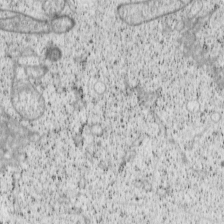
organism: African green monkey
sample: COS-7 cells